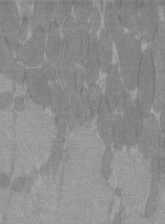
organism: C57BL Mouse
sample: Tibialis anterior muscle cell